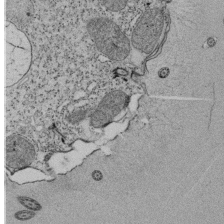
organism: Tetrahymena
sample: Cilia in tetrahymena